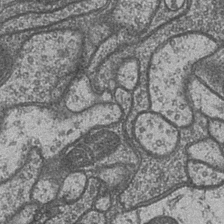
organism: Drosophila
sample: Optic medulla